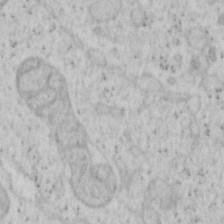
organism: Human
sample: HeLa cells